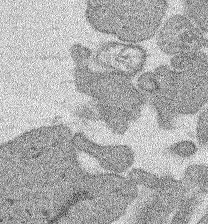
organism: Human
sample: HeLa cells